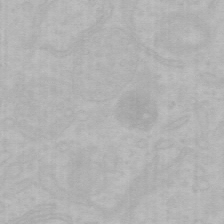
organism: Mouse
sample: Choroid plexus